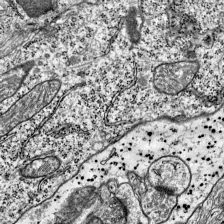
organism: Mouse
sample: Visual Cortex